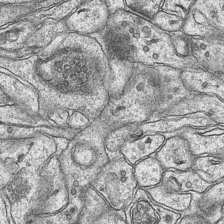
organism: Mouse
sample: CA1 Hippocampus